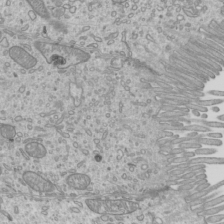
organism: Mouse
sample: Cilia; mouse epididymis